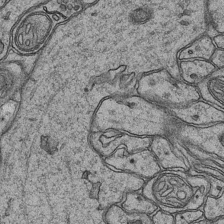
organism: Mouse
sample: CA1 Hippocampus